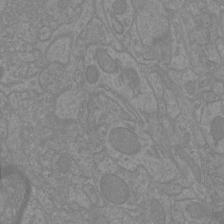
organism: Mouse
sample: Cortical neurons